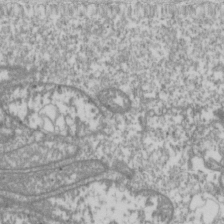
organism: Drosophila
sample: Cell division; meiosis; drosophila spermatocytes